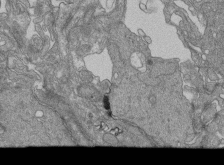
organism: Human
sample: Retinal organoid Rod and Cone cells